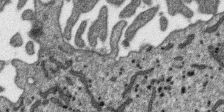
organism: Human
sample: Lung epithelial cells infected with SARS-CoV-2